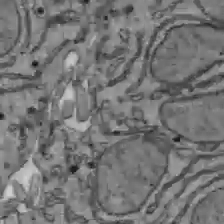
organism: C57BL Mouse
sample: Liver